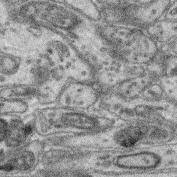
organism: Mouse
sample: Retina